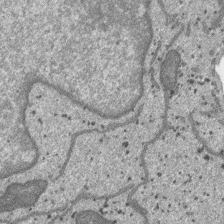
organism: Human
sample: Lung epithelial cells infected with SARS-CoV-2